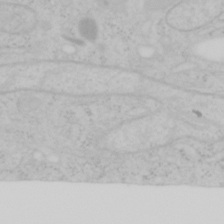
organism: Mouse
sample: OT-I killer T cells with ID8 ovarian cancer cells